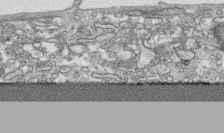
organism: Human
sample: CRL-1474